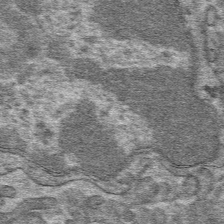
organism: Mouse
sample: Mouse hepatocytes